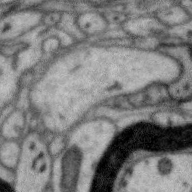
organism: Zebra finch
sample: Brain